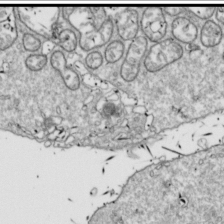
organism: Drosophila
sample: Cell division; meiosis; drosophila spermatocytes